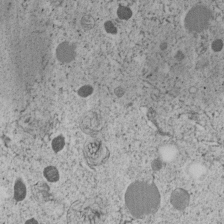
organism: C. elegans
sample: C. elegans embryo early stage